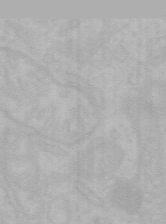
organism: Mouse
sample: Choroid plexus